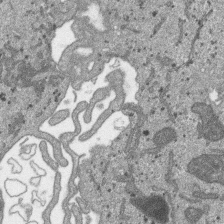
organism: Human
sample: Lung epithelial cells infected with SARS-CoV-2